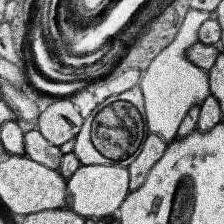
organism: Human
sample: Temporal Lobe